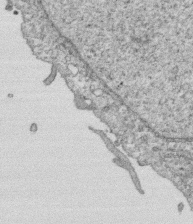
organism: Human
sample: HeLa cell HIV synapse